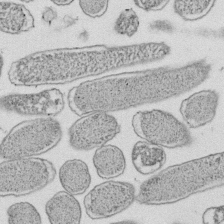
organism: E. coli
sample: Bacterial nucleoid